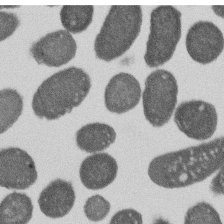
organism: E. coli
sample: Bacterial nucleoid